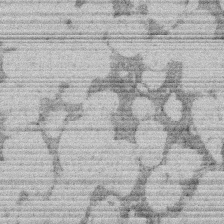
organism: Rat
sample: Salivary granule